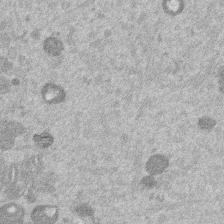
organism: Mouse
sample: Dividing mouse embryo 1 cell stage